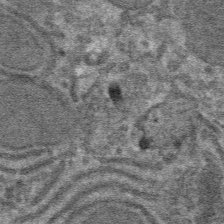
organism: Mouse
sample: Mouse hepatocytes